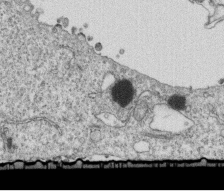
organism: Human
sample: HeLa cell HIV synapse